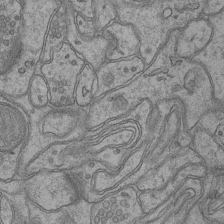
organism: Mouse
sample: CA1 Hippocampus